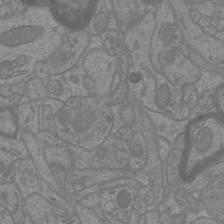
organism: Mouse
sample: Cortical neurons